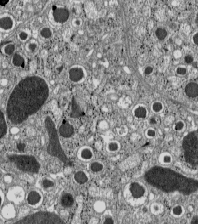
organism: C57BL Mouse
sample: Pancreatic islet